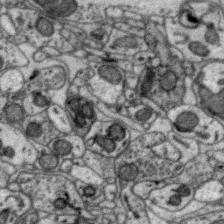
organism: Zebra finch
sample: Brain